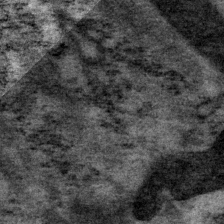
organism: P. pacificus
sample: Pharynx